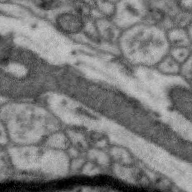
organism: Zebra finch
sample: Brain